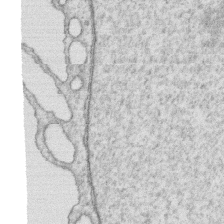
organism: Human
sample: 1205lu cells